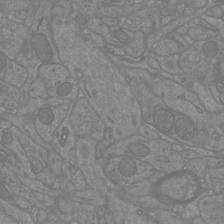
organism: Mouse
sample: Cortical neurons